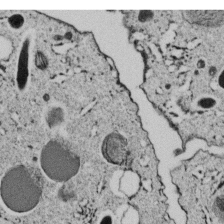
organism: C. elegans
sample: C. elegans embryo early stage